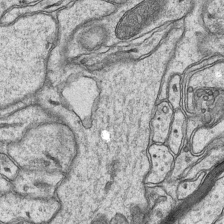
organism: Mouse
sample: CA1 Hippocampus